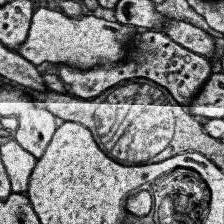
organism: Human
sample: Temporal Lobe